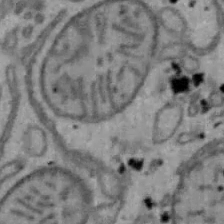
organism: Mouse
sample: Liver